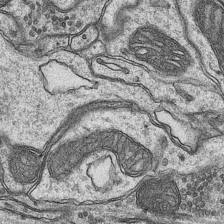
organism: Mouse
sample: CA1 Hippocampus